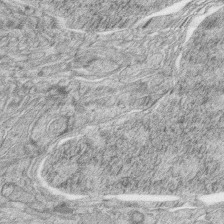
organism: Zebrafish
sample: synaptic ribbons in rod cells and cone cells